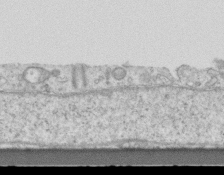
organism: Mouse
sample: Centriole in ependymal cells